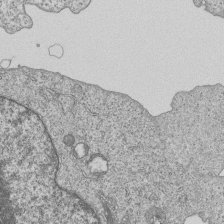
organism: Human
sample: MDA-MB-231 cells